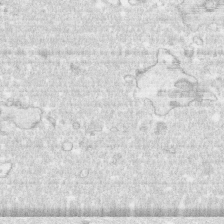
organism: Human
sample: CRL-1474